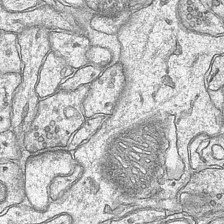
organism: Mouse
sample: CA1 Hippocampus